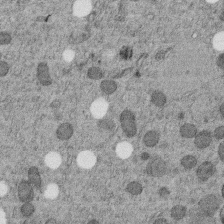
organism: C. elegans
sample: C. elegans embryo early stage